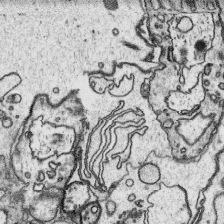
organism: Platynereis dumerilii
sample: Parapodia